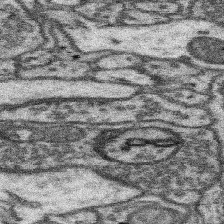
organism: Mouse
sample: Somatosensory cortex neuropil